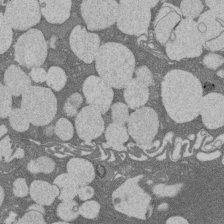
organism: Rat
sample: Salivary granule